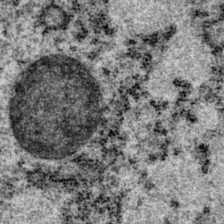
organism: P. pacificus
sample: Pharynx